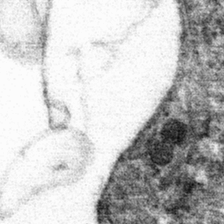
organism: Mouse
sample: Mouse hepatocytes